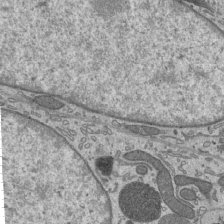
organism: Mouse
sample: Mouse epididymis efferent ductule cilia